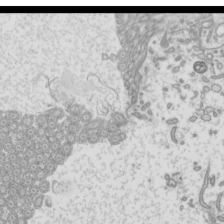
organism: Mouse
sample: Cilia; mouse epididymis